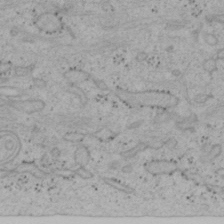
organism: Human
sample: HeLa cells